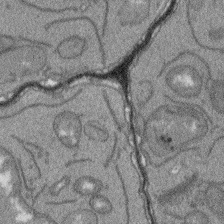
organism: Arabidopsis thaliana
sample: Root tip